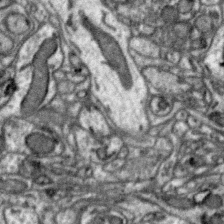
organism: Zebra finch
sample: Brain